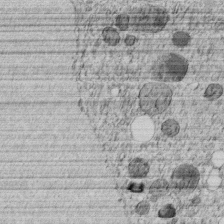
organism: C. elegans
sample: C. elegans embryo early stage